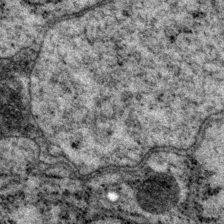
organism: P. pacificus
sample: Pharynx